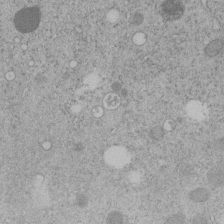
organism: C. elegans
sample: C. elegans embryo early stage